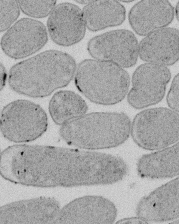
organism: E. coli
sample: Bacterial nucleoid